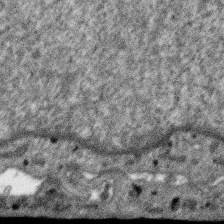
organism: Human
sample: Lung epithelial cells infected with SARS-CoV-2